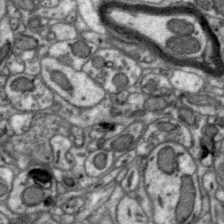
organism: Zebra finch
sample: Brain